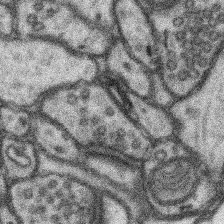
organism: Mouse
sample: Somatosensory cortex neuropil